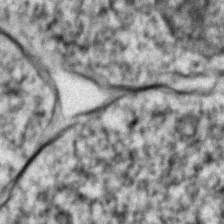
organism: Zebrafish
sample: Zebrafish embryo